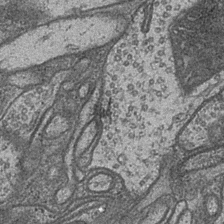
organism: Drosophila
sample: Optic medulla